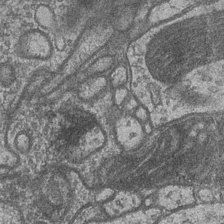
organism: Drosophila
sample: Optic medulla